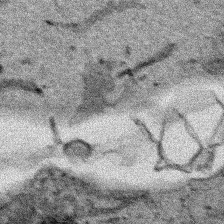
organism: Human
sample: Mitochondria in HCT116 cells